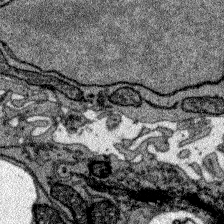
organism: Zebrafish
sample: Larval olfactory bulb